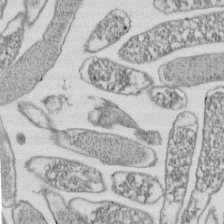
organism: E. coli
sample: Bacterial nucleoid